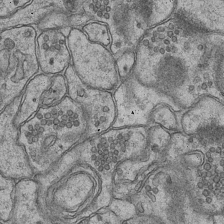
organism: Mouse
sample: CA1 Hippocampus